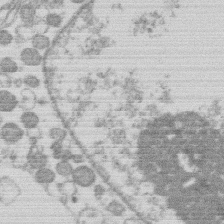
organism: Human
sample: Macrophage cells